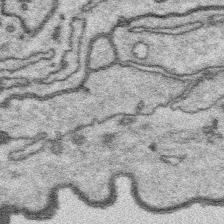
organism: Platynereis dumerilii